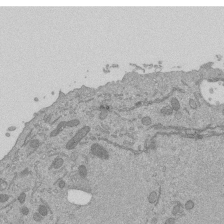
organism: Mouse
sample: ED-1 cell nuclei; centrioles